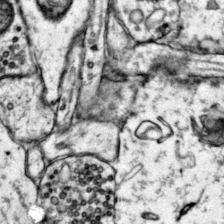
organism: Mouse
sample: Primary visual cortex